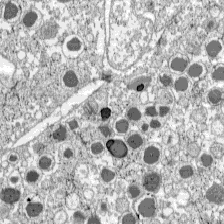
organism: C57BL Mouse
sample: Pancreatic islet